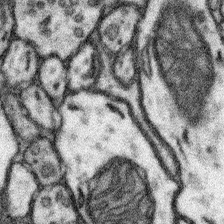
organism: Mouse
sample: Somatosensory cortex neuropil